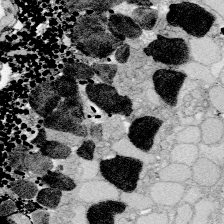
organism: Zebrafish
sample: Whole-Brain